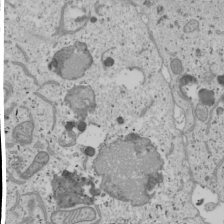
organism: Human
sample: Mitochondria in U2OS cells